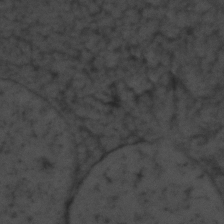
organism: Zebrafish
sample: Zebrafish embryo